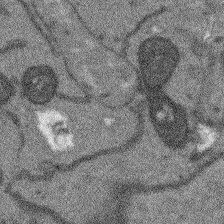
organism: Arabidopsis thaliana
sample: Root tip